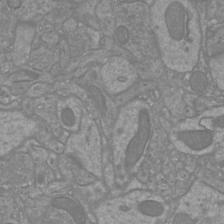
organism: Mouse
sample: Cortical neurons